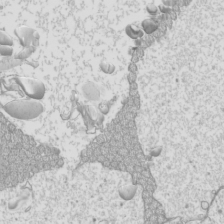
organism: Mouse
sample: Cilia; mouse epididymis